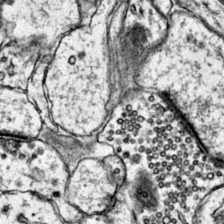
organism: Mouse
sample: Primary visual cortex